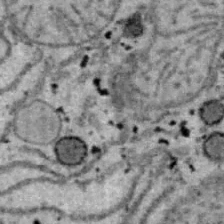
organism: Mouse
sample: Liver from an obese (ob/ob) mouse